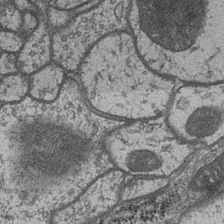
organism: Drosophila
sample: Optic medulla